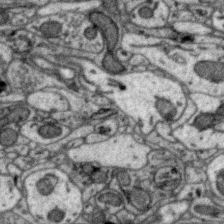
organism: Zebra finch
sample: Brain